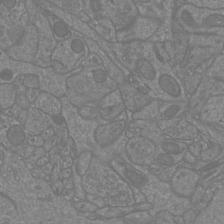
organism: Mouse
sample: Cortical neurons